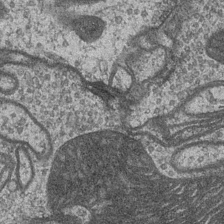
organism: Drosophila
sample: Optic medulla